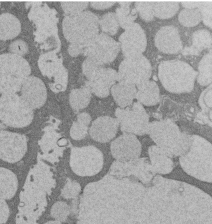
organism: Rat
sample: Salivary granule